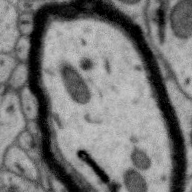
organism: Zebra finch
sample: Brain